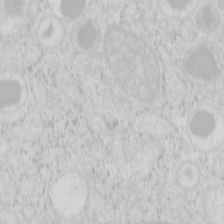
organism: Mouse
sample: Pancreas